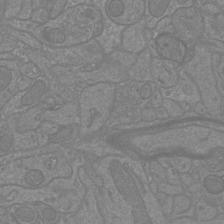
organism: Mouse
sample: Cortical neurons